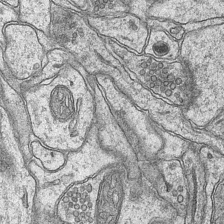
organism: Mouse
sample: CA1 Hippocampus